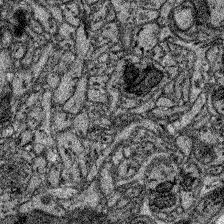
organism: Zebrafish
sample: Larval olfactory bulb